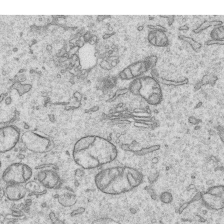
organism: Human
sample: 1205lu cells